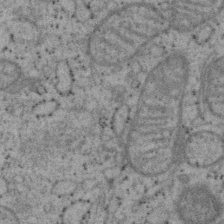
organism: Human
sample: HeLa cells